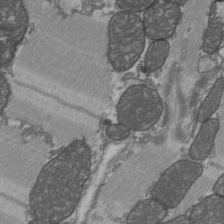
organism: C57BL Mouse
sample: Heart